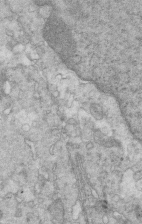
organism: Mouse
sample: Multiciliated cells